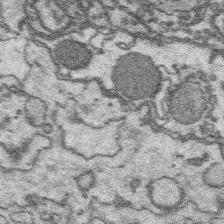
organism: Platynereis dumerilii